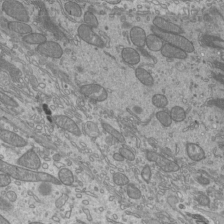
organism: Mouse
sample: Cilia; mouse epididymis